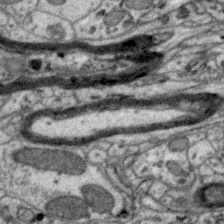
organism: Zebra finch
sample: Brain